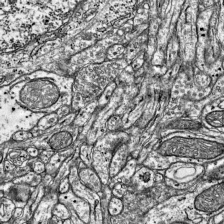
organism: Mouse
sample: Visual Cortex